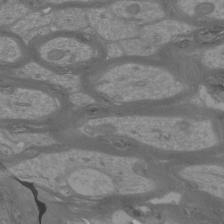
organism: Mouse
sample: Cortical neurons